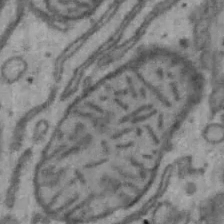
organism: Mouse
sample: Liver